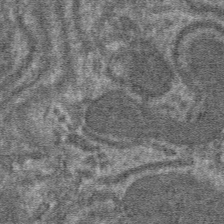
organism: Mouse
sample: Mouse hepatocytes